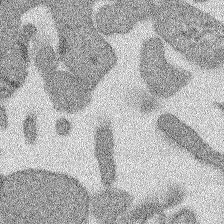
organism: Human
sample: HeLa cells